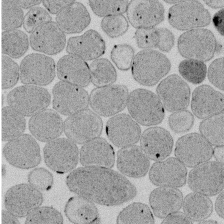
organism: E. coli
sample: Bacterial nucleoid